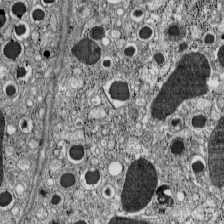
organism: C57BL Mouse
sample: Pancreatic islet